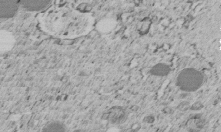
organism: C. elegans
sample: C. elegans embryo early stage